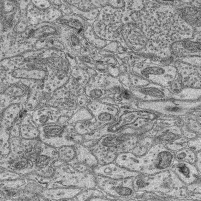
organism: Mouse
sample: Retina